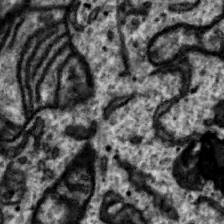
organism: Human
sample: HeLa cells